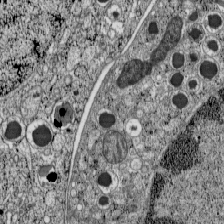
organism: C57BL Mouse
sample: Pancreatic islet